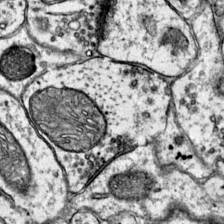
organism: Mouse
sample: Primary visual cortex